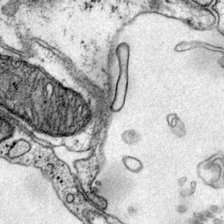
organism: Mouse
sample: Primary visual cortex